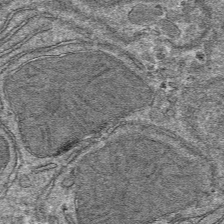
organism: Mouse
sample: Mouse hepatocytes